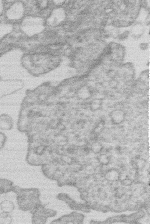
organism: Human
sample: Macrophage cells